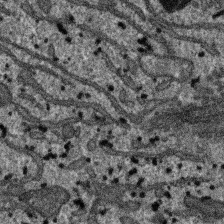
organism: Human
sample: Lung epithelial cells infected with SARS-CoV-2